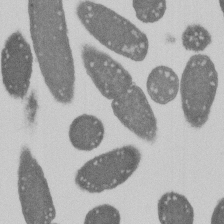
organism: E. coli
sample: Bacterial nucleoid